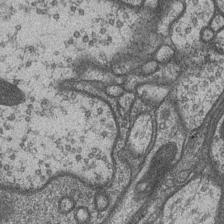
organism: Drosophila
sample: Optic medulla